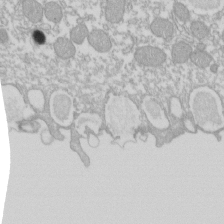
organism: Xenopus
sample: Cilia; centrioles in frog embryo cells